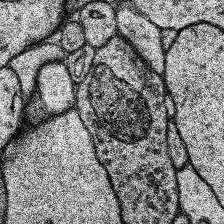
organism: Human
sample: Temporal Lobe